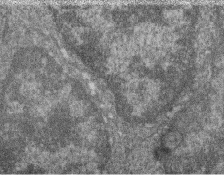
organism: Zebrafish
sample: Cilia; retinal pigment epithelium